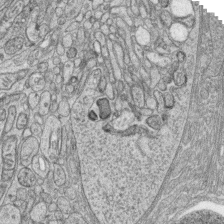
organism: Zebrafish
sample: synaptic ribbons in rod cells and cone cells